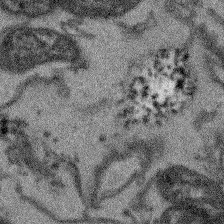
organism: Arabidopsis thaliana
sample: Root tip